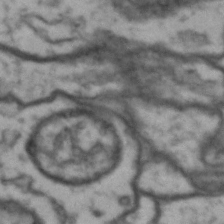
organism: Drosophila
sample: Brain